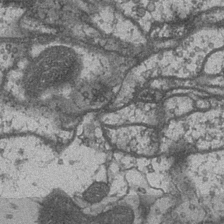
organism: Drosophila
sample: Optic medulla